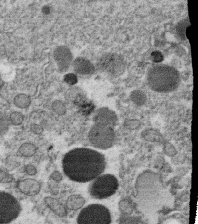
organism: C. elegans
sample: C. elegans oocyte; sperm cells